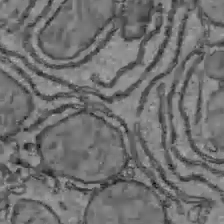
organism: C57BL Mouse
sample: Liver